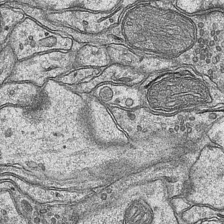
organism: Mouse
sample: CA1 Hippocampus